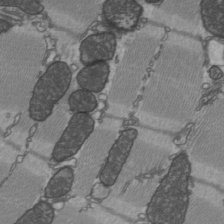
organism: C57BL Mouse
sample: Heart